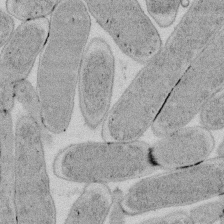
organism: E. coli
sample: Bacterial nucleoid